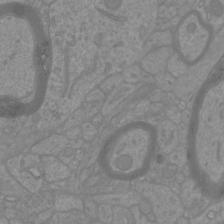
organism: Mouse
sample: Cortical neurons